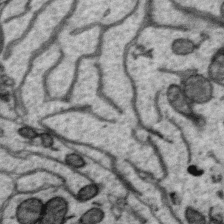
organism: Zebra finch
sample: Brain